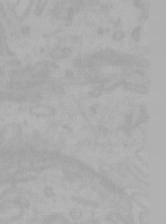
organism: Mouse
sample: Choroid plexus